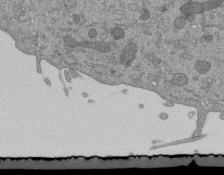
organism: Mouse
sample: ED-1 cell nuclei; centrioles